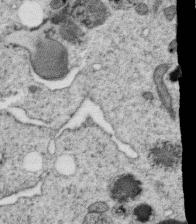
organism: C. elegans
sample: C. elegans oocyte; sperm cells